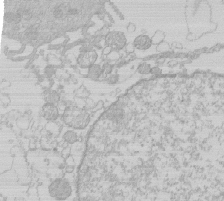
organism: Human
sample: Macrophage cells